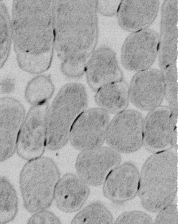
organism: E. coli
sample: Bacterial nucleoid